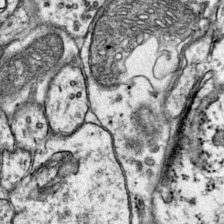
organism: Mouse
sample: Primary visual cortex